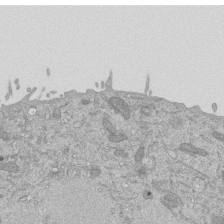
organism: Mouse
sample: ED-1 cell nuclei; centrioles